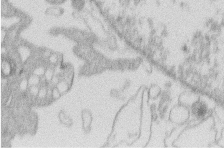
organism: Human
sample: Macrophage cells